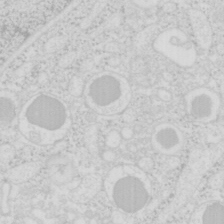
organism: Mouse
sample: Pancreas